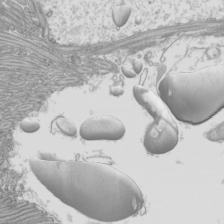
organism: Mouse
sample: Cilia; mouse epididymis